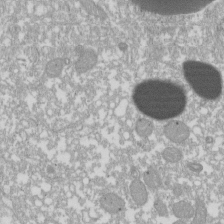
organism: Xenopus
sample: Cilia; centrioles in frog embryo cells